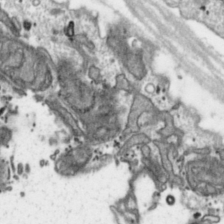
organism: Toxoplasma gondii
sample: Parasites in a vacuole inside a host cell